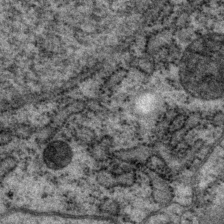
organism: P. pacificus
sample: Pharynx